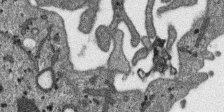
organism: Human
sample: Lung epithelial cells infected with SARS-CoV-2